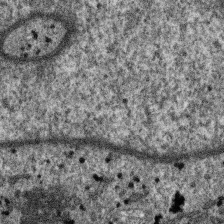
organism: Human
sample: Lung epithelial cells infected with SARS-CoV-2